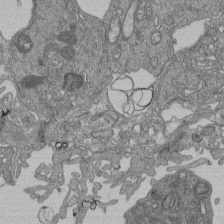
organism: Human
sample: Retinal organoid Rod and Cone cells